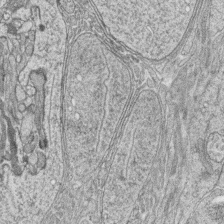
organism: Zebrafish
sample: synaptic ribbons in rod cells and cone cells